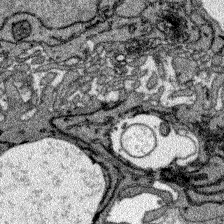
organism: Zebrafish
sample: Larval olfactory bulb